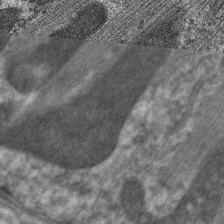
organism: C. elegans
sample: Pharynx